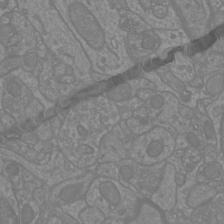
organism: Mouse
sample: Cortical neurons